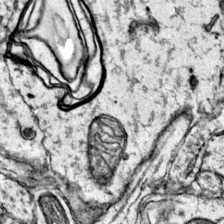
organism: Mouse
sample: Primary visual cortex